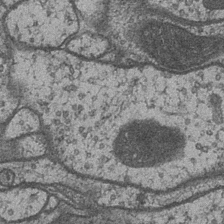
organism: Drosophila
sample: Optic medulla